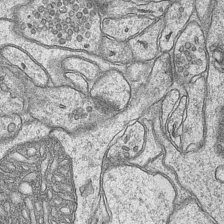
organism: Mouse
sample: CA1 Hippocampus